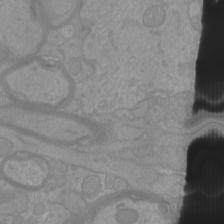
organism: Mouse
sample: Cortical neurons